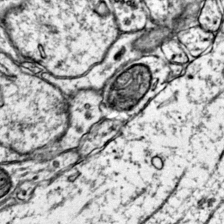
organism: Mouse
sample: Primary visual cortex